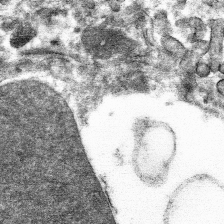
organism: Mouse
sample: Mouse hepatocytes